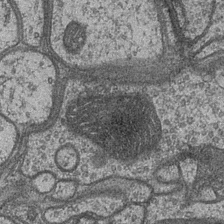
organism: Drosophila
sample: Optic medulla